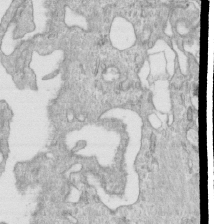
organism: Human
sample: Centriole in RPE cells